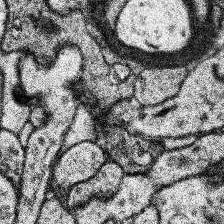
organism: Human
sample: Temporal Lobe